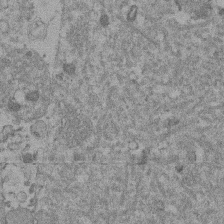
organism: Mouse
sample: Dividing mouse embryo 1 cell stage